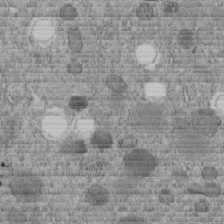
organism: C. elegans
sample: C. elegans embryo early stage